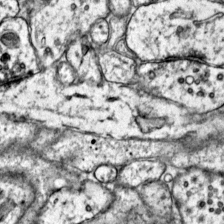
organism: Mouse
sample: Primary visual cortex